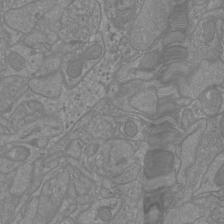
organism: Mouse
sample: Cortical neurons